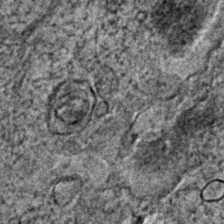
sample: Trachea